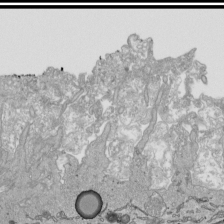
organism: Human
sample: Mitochondria in HCT116 cells